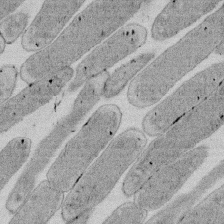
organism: E. coli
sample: Bacterial nucleoid